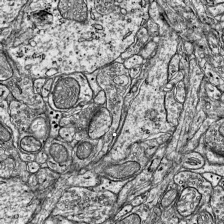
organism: Mouse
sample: Visual Cortex